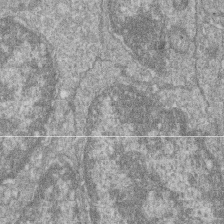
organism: Zebrafish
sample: Cilia; retinal pigment epithelium